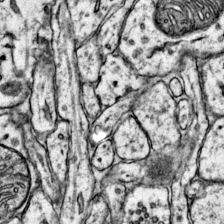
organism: Mouse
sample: Primary visual cortex